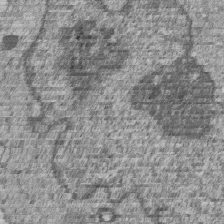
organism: Human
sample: MDA-MB-231 cells